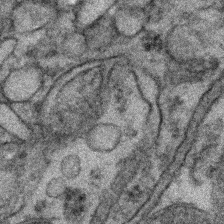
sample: Kidney